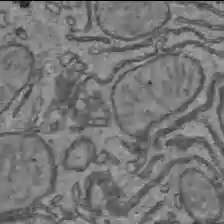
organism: C57BL Mouse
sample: Liver